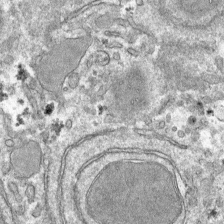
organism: Mouse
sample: Mouse hepatocytes